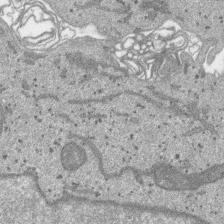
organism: Human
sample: Lung epithelial cells infected with SARS-CoV-2